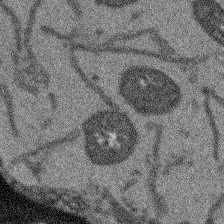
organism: Arabidopsis thaliana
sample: Root tip